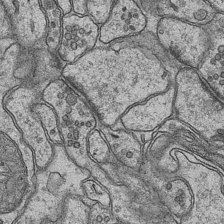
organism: Mouse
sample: CA1 Hippocampus